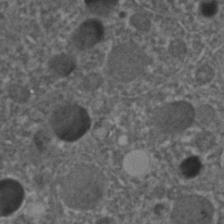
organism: C. elegans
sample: C. elegans embryo